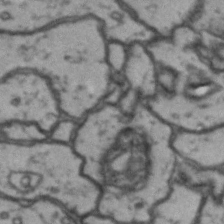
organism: Drosophila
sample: Brain